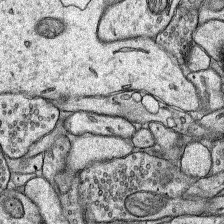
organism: Rat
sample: Hippocampus